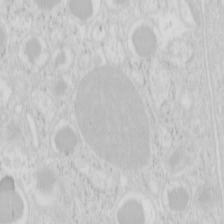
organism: Mouse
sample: Pancreas